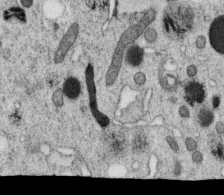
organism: C. elegans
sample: C. elegans oocyte; sperm cells